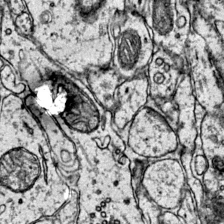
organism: Mouse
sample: Primary visual cortex